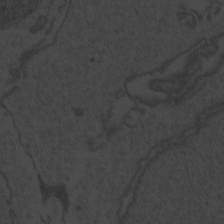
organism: Zebrafish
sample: Macrophage infected with Toxoplasma gondii